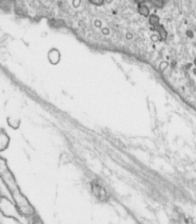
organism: Toxoplasma gondii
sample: Parasites in a vacuole inside a host cell